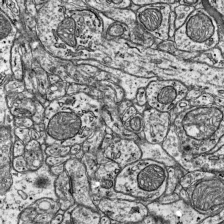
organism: Mouse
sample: Visual Cortex